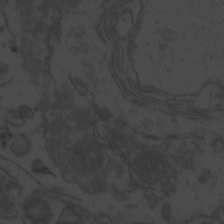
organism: Zebrafish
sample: Macrophage infected with Toxoplasma gondii